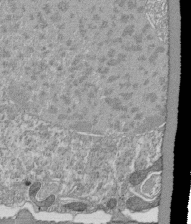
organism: Tetrahymena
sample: Cilia in tetrahymena